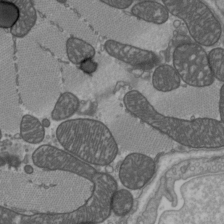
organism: C57BL Mouse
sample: Heart